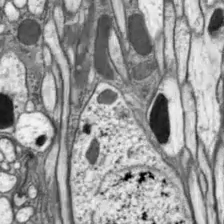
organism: Drosophila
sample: Optic lobe